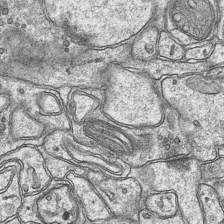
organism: Mouse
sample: CA1 Hippocampus